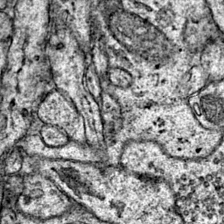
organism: Mouse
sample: Primary visual cortex